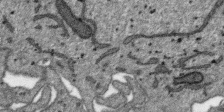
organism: Human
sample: Lung epithelial cells, uninfected (mock) control